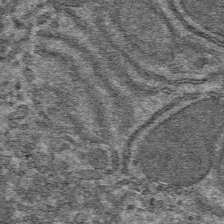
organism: Mouse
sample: Mouse hepatocytes